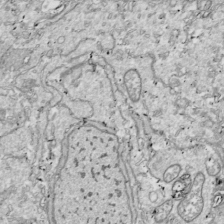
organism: Drosophila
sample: Cell division; meiosis; drosophila spermatocytes